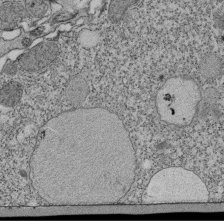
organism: Tetrahymena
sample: Cilia in tetrahymena